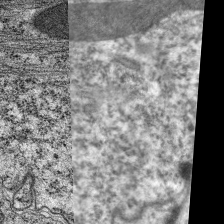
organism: C. elegans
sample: Pharynx